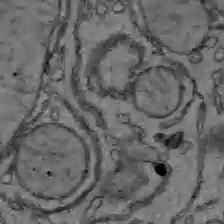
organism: C57BL Mouse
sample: Liver